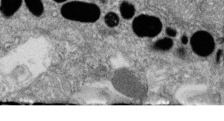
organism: Zebrafish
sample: Cilia; retinal pigment epithelium